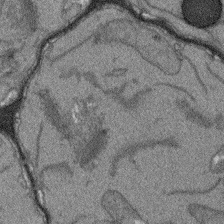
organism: Arabidopsis thaliana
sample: Root tip